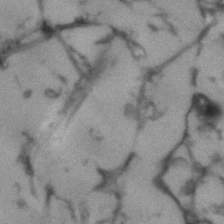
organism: Human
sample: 1205lu cells